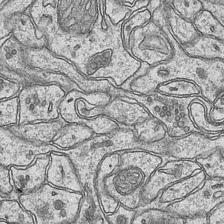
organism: Mouse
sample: CA1 Hippocampus